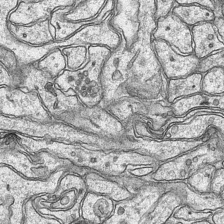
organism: Mouse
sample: CA1 Hippocampus